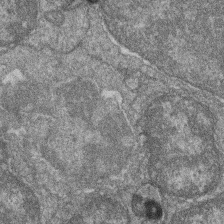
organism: Zebrafish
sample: Cilia; retinal pigment epithelium